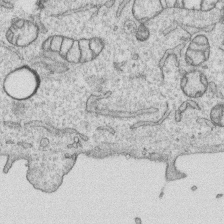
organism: Human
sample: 1205lu cells